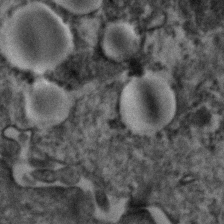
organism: Human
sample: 1205lu cells